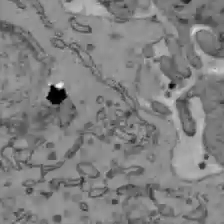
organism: C57BL Mouse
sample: Liver